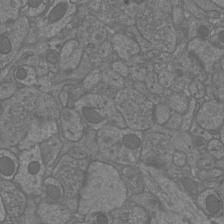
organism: Mouse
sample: Cortical neurons